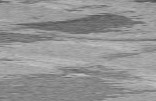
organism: C57BL Mouse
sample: Heart